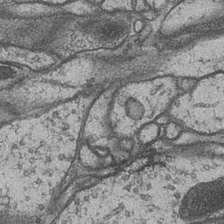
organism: Drosophila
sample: Optic medulla